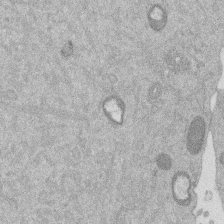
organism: Mouse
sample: Dividing mouse embryo 1 cell stage